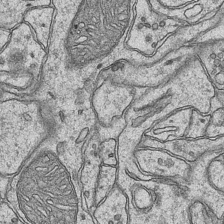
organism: Mouse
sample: CA1 Hippocampus